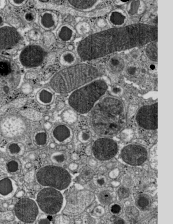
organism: C57BL Mouse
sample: Pancreatic islet